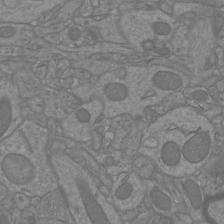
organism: Mouse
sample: Cortical neurons